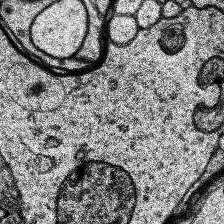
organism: Human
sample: Temporal Lobe